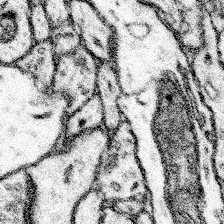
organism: Mouse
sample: Somatosensory cortex neuropil